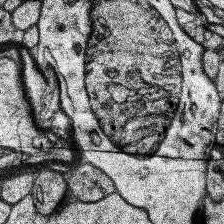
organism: Human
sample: Temporal Lobe